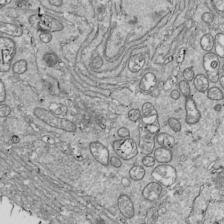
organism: Drosophila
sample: Cell division; meiosis; drosophila spermatocytes